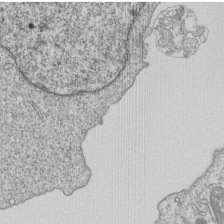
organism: Human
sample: MDA-MB-231 cells